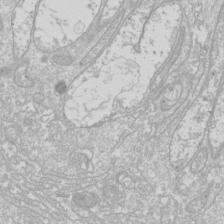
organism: Drosophila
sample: Cell division; meiosis; drosophila spermatocytes